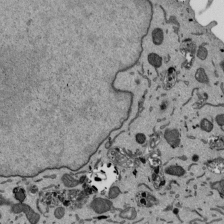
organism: Mouse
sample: ED-1 cell nuclei; centrioles